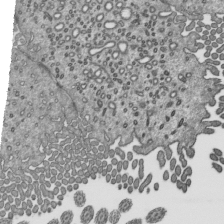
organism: Mouse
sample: Mouse epididymis efferent ductule cilia